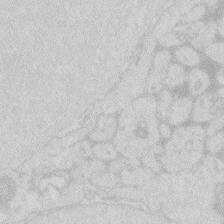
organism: Zebrafish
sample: Macrophage